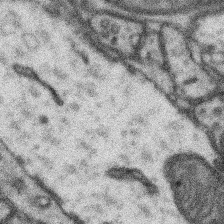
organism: Mouse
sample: Somatosensory cortex neuropil